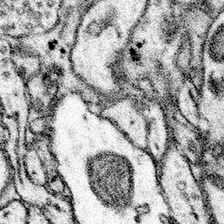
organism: Mouse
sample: Somatosensory cortex neuropil